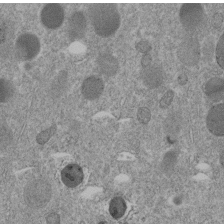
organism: C. elegans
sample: C. elegans embryo early stage